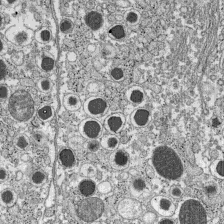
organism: C57BL Mouse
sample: Pancreatic islet